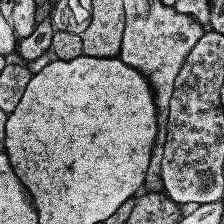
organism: Human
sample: Temporal Lobe